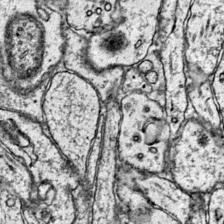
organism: Mouse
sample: Primary visual cortex